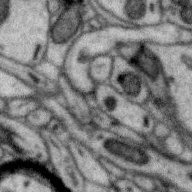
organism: Zebra finch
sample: Brain